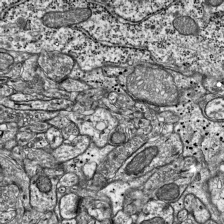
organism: Mouse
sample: Visual Cortex